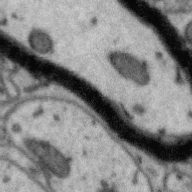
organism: Zebra finch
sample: Brain